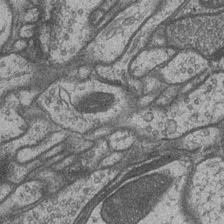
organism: Drosophila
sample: Optic medulla